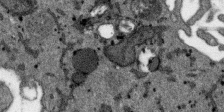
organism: Human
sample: Lung epithelial cells, uninfected (mock) control